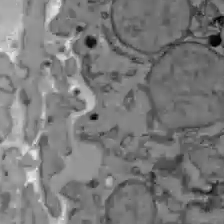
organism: C57BL Mouse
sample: Liver